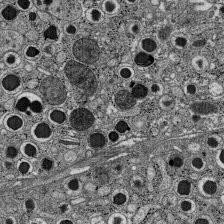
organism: C57BL Mouse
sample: Pancreatic islet